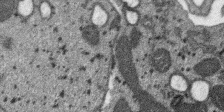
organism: Human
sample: Lung epithelial cells infected with SARS-CoV-2